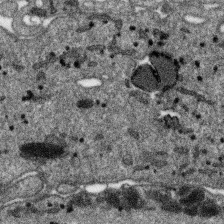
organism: Human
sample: Lung epithelial cells infected with SARS-CoV-2